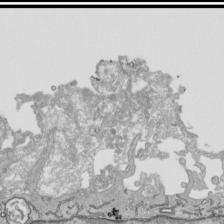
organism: Human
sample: Mitochondria in HCT116 cells